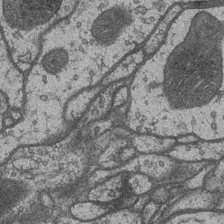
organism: Drosophila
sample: Optic medulla